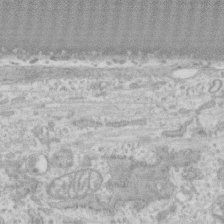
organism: Human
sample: CRL-1474